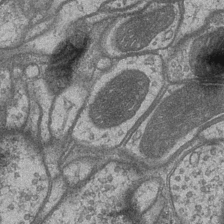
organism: Drosophila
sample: Optic medulla